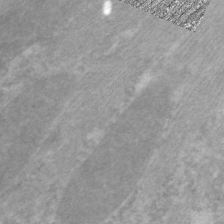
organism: C. elegans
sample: Pharynx